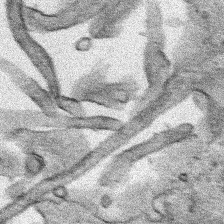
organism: Human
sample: Mitochondria in HCT116 cells